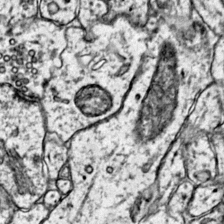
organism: Mouse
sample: Primary visual cortex